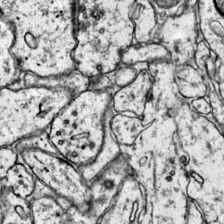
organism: Mouse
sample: Primary visual cortex